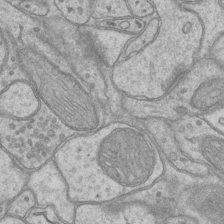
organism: Mouse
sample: CA1 Hippocampus